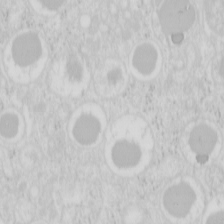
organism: Mouse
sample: Pancreas